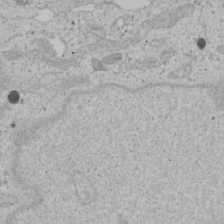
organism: Human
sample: Mitochondria in U2OS cells